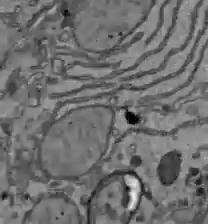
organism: C57BL Mouse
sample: Liver